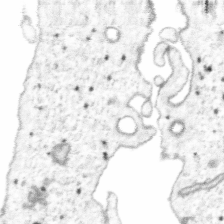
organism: Human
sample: HeLa cells